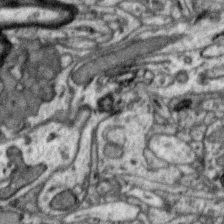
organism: Zebra finch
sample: Brain